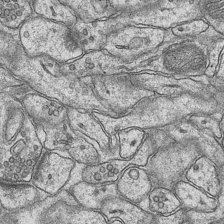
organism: Mouse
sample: CA1 Hippocampus